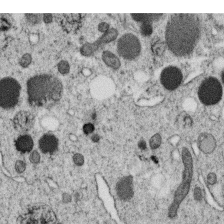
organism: C. elegans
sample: C. elegans oocyte; sperm cells